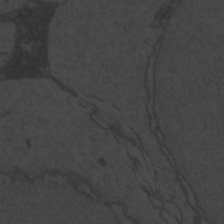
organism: Zebrafish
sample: Macrophage infected with Toxoplasma gondii